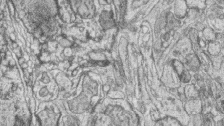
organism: Zebrafish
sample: synaptic ribbons in rod cells and cone cells